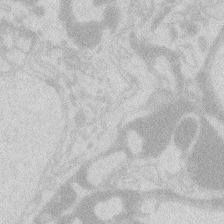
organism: Zebrafish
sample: Macrophage